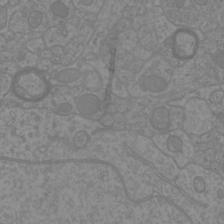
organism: Mouse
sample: Cortical neurons